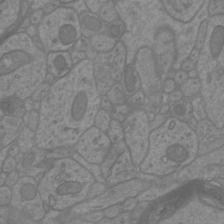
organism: Mouse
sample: Cortical neurons